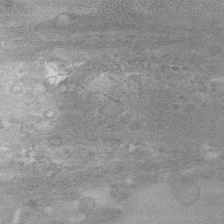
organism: Human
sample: Fibroblast cells